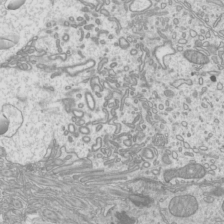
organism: Mouse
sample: Cilia; mouse epididymis